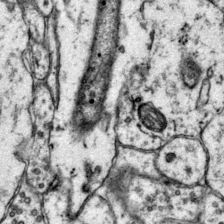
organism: Mouse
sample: Primary visual cortex